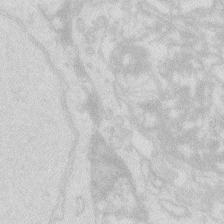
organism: Zebrafish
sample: Macrophage